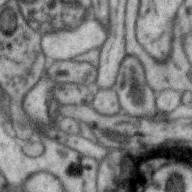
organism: Zebra finch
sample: Brain